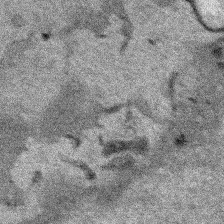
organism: Human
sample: Mitochondria in HCT116 cells